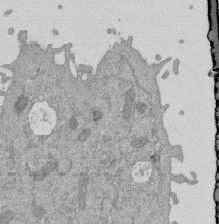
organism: Mouse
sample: ED-1 cell nuclei; centrioles